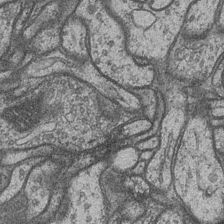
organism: Drosophila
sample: Optic medulla